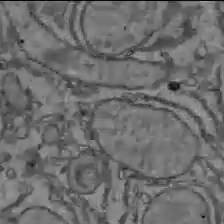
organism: C57BL Mouse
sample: Liver